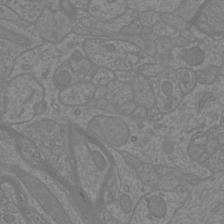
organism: Mouse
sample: Cortical neurons